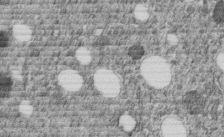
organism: C. elegans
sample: C. elegans embryo early stage